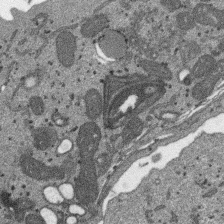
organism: Human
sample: Lung epithelial cells infected with SARS-CoV-2